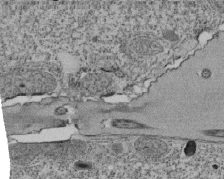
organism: Tetrahymena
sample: Cilia in tetrahymena